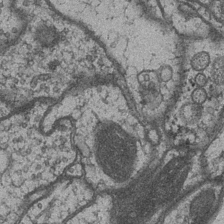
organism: Drosophila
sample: Optic medulla